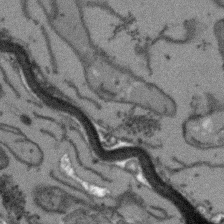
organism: Arabidopsis thaliana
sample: Root tip